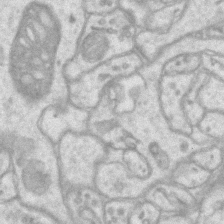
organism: Mouse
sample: CA1 Hippocampus